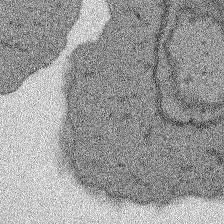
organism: Human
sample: HeLa cells